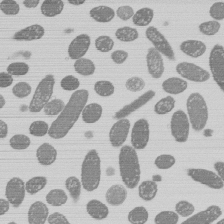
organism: E. coli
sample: Bacterial nucleoid